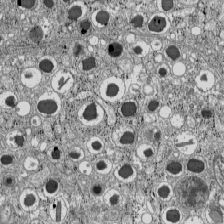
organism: C57BL Mouse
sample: Pancreatic islet